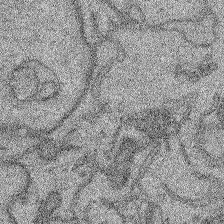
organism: Human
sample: HeLa cells